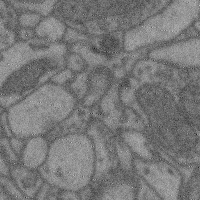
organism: Mouse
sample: Cerebral cortex